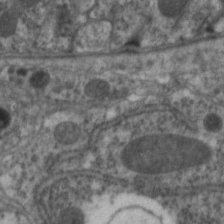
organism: C. elegans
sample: Pharynx